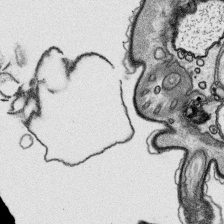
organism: Platynereis dumerilii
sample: Parapodia